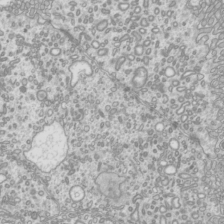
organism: Mouse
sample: Cilia; mouse epididymis